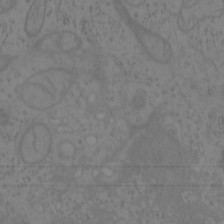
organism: Human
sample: HeLa cells